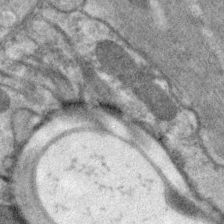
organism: C. elegans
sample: Pharynx